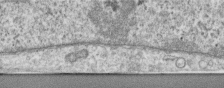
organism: Human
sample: Centriole in RPE cells